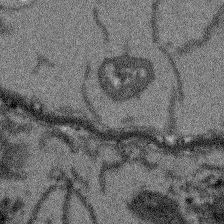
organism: Arabidopsis thaliana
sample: Root tip